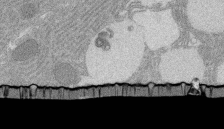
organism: Rat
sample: Salivary granule